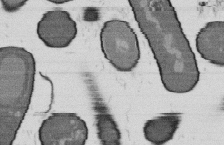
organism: B. subtilis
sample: Bacterial spore